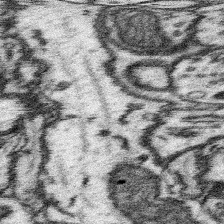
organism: Mouse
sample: Somatosensory cortex neuropil